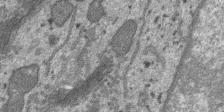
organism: Human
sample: Lung epithelial cells infected with SARS-CoV-2